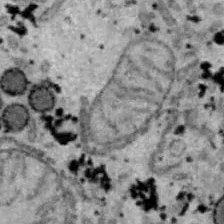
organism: Mouse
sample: Liver from an obese (ob/ob) mouse